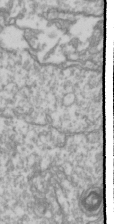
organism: Drosophila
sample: Cell division; meiosis; drosophila spermatocytes